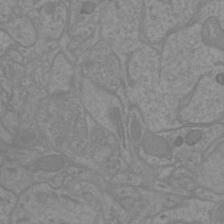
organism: Mouse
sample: Cortical neurons